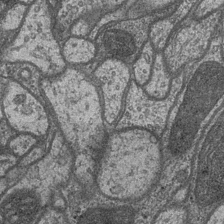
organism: Drosophila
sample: Optic medulla